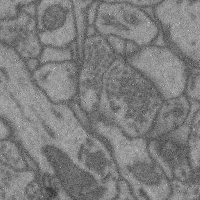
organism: Mouse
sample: Cerebral cortex